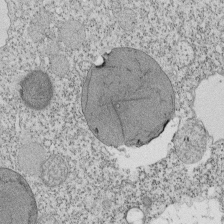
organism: Tetrahymena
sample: Cilia in tetrahymena